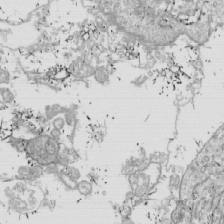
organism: Drosophila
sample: Cell division; meiosis; drosophila spermatocytes